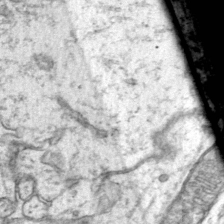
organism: Mouse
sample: Primary visual cortex